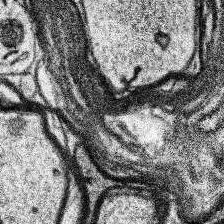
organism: Human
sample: Temporal Lobe